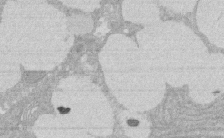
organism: Rat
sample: Salivary granule